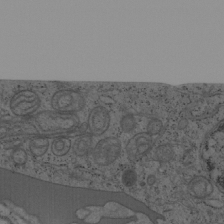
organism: Human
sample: HeLa cells